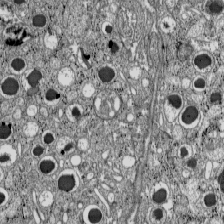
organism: C57BL Mouse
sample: Pancreatic islet